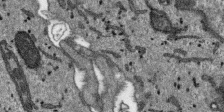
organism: Human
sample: Lung epithelial cells, uninfected (mock) control